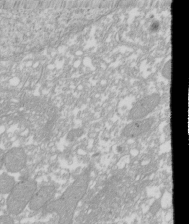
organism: Xenopus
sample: Cilia; centrioles in frog embryo cells